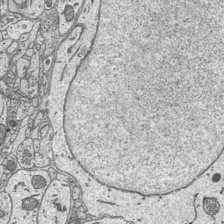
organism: Mouse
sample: Suprachiasmatic nucleus